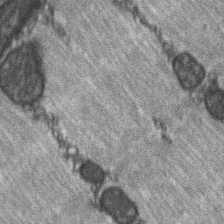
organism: C57BL Mouse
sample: Soleus